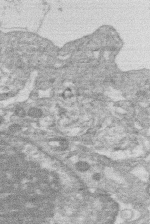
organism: Human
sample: Macrophage cells